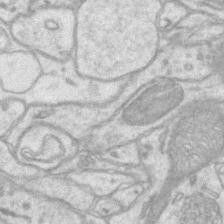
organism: Mouse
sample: CA1 Hippocampus